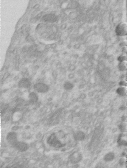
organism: Human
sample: Centriole in RPE cells